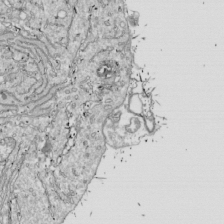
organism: Drosophila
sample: Cell division; meiosis; drosophila spermatocytes